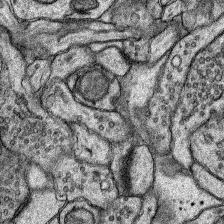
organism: Rat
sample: Hippocampus